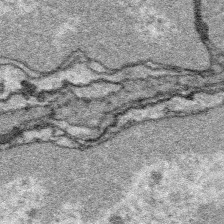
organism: Platynereis dumerilii